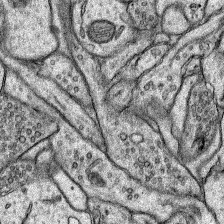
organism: Rat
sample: Hippocampus